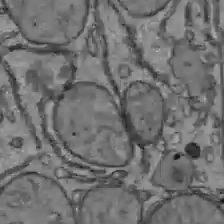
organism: C57BL Mouse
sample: Liver